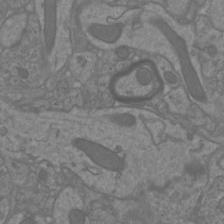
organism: Mouse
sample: Cortical neurons